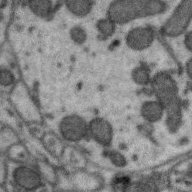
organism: Zebra finch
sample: Brain